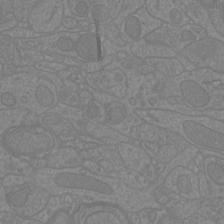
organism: Mouse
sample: Cortical neurons